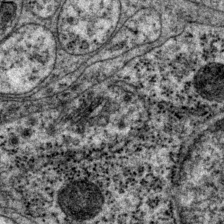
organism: P. pacificus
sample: Pharynx